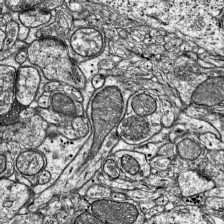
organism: Mouse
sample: Visual Cortex